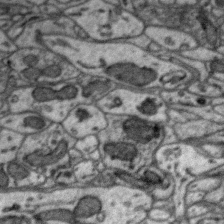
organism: Zebra finch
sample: Brain